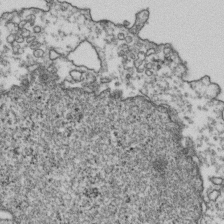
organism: Human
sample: Activated Jurkat CD4+ T cells